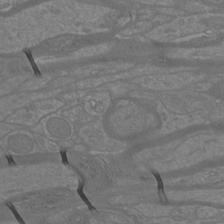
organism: Mouse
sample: Cortical neurons